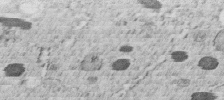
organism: C. elegans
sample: C. elegans embryo early stage